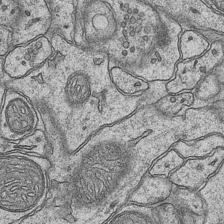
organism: Mouse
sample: CA1 Hippocampus